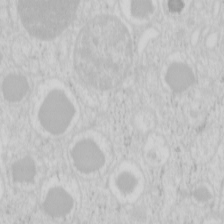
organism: Mouse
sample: Pancreas